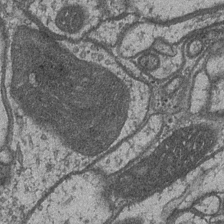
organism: Drosophila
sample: Optic medulla